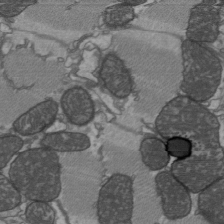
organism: C57BL Mouse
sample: Heart